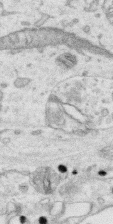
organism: Human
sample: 1205lu cells